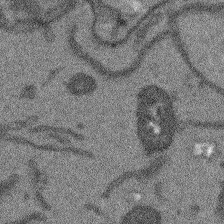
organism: Arabidopsis thaliana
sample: Root tip